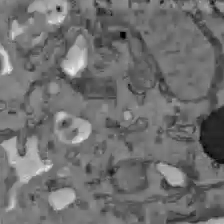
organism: C57BL Mouse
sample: Liver